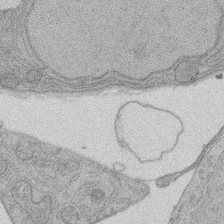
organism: Rat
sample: Salivary granule